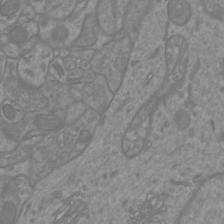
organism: Mouse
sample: Cortical neurons